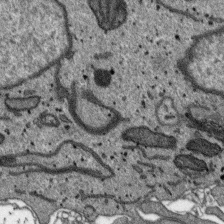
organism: Human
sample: Lung epithelial cells, uninfected (mock) control